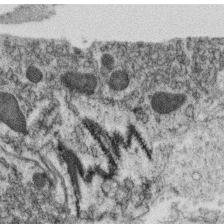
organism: C. elegans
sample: C. elegans oocyte; sperm cells